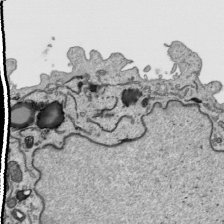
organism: Human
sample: Mitochondria in HCT116 cells